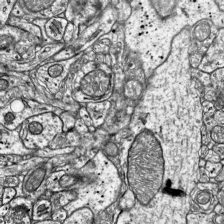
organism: Mouse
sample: Visual Cortex